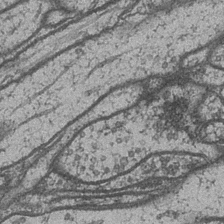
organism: Drosophila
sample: Optic medulla